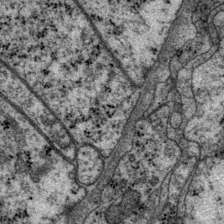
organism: P. pacificus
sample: Pharynx